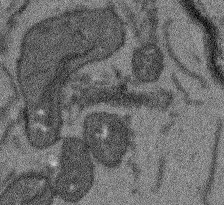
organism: Arabidopsis thaliana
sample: Root tip